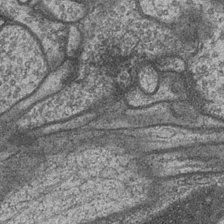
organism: Drosophila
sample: Optic medulla